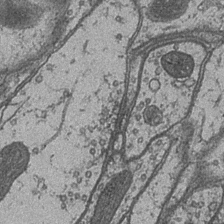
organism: Drosophila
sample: Optic medulla